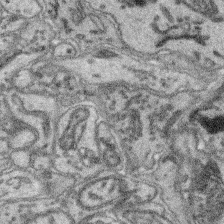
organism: Mouse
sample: Retina